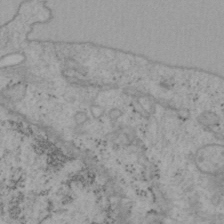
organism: Human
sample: HeLa cells